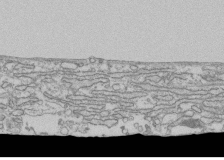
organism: Human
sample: Fibroblast cells